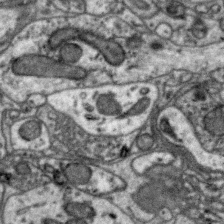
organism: Zebra finch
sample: Brain